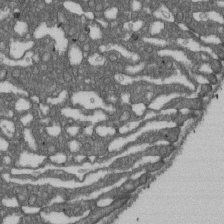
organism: Drosophila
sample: Nephrocyte